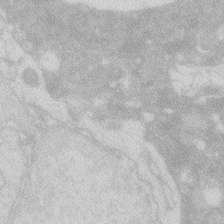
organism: Zebrafish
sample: Macrophage